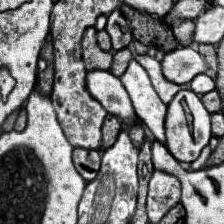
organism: Human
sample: Temporal Lobe